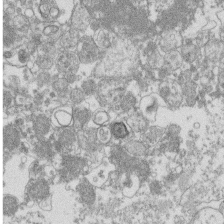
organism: Human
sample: HeLa cell HIV synapse